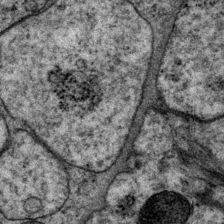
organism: P. pacificus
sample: Pharynx